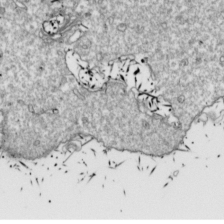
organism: Drosophila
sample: Cell division; meiosis; drosophila spermatocytes